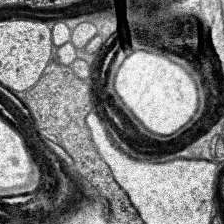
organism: Human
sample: Temporal Lobe